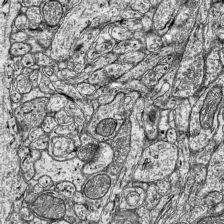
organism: Mouse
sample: Visual Cortex